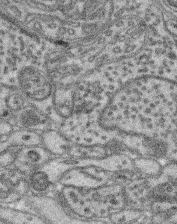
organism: Mouse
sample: Retina